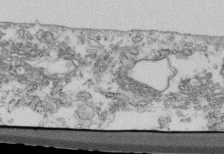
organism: Mouse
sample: Cilia; retinal pigment epithelium